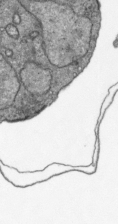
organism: Plasmodium falciparum